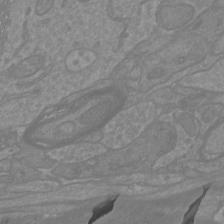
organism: Mouse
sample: Cortical neurons